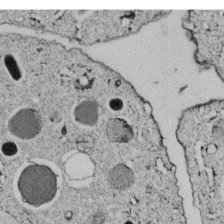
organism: C. elegans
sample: C. elegans embryo early stage